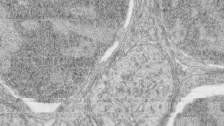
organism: Zebrafish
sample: synaptic ribbons in rod cells and cone cells